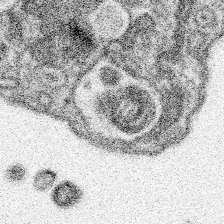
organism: Spongilla lacustris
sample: Neuroid cell